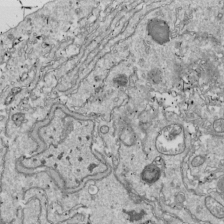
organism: Drosophila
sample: Cell division; meiosis; drosophila spermatocytes